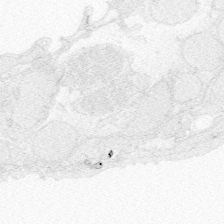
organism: Zebrafish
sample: Whole-Brain